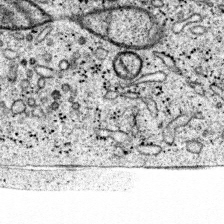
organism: Human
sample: HeLa cells